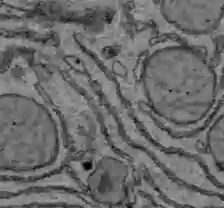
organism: C57BL Mouse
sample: Liver